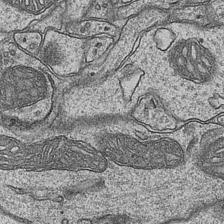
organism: Mouse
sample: CA1 Hippocampus